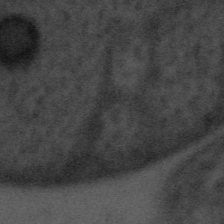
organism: Tuwongella immobilis